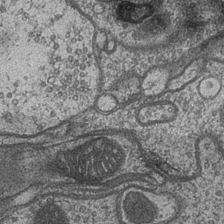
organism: Drosophila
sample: Optic medulla